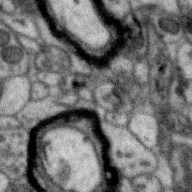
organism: Zebra finch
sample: Brain